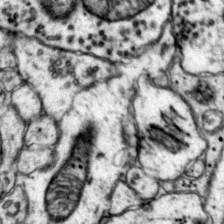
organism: Mouse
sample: Primary visual cortex